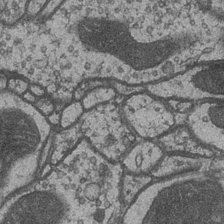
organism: Drosophila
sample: Optic medulla